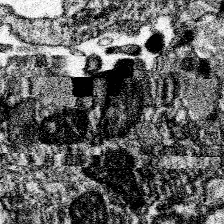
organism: Spongilla lacustris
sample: Neuroid cell